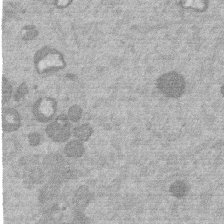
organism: Mouse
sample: Dividing mouse embryo 1 cell stage